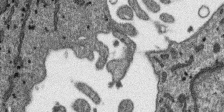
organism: Human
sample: Lung epithelial cells infected with SARS-CoV-2